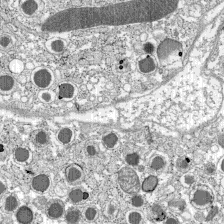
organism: C57BL Mouse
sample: Pancreatic islet